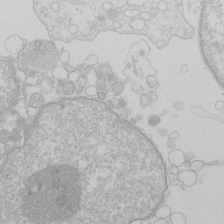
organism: Human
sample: Macrophage cells